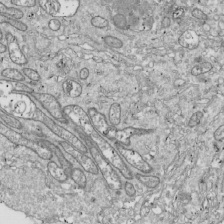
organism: Drosophila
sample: Cell division; meiosis; drosophila spermatocytes